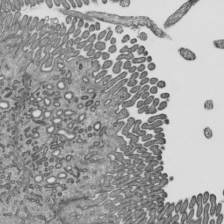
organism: Mouse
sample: Mouse epididymis efferent ductule cilia